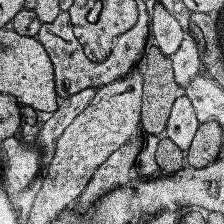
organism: Human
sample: Temporal Lobe